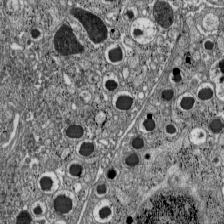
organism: C57BL Mouse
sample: Pancreatic islet